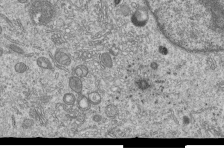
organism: Human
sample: MDA-MB-231 cells